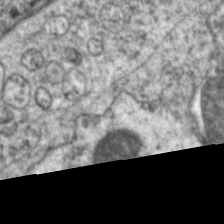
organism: C. elegans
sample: Pharynx